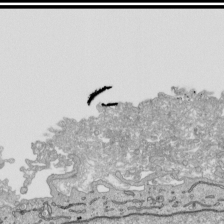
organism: Human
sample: Mitochondria in HCT116 cells